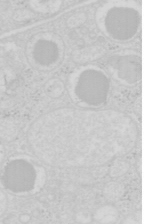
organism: Mouse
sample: Pancreas